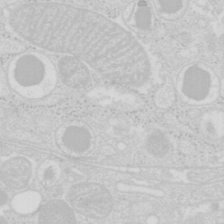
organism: Mouse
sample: Pancreas